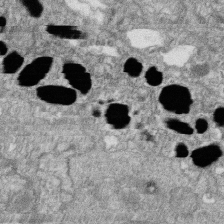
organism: Zebrafish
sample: Cilia; retinal pigment epithelium